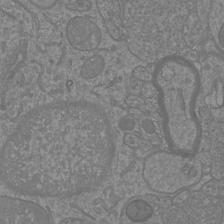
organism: Mouse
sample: Cortical neurons